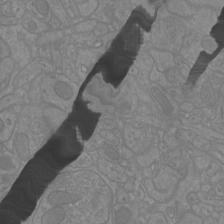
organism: Mouse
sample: Cortical neurons